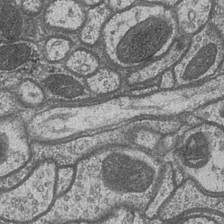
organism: Drosophila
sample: Optic medulla